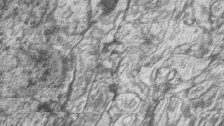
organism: Zebrafish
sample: synaptic ribbons in rod cells and cone cells